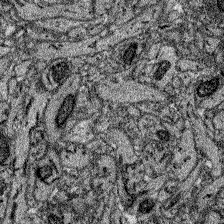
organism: Zebrafish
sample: Larval olfactory bulb